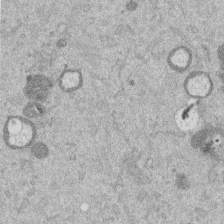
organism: Mouse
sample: Dividing mouse embryo 1 cell stage